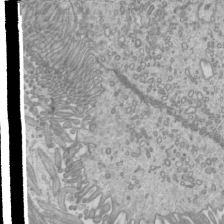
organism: Mouse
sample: Cilia; mouse epididymis